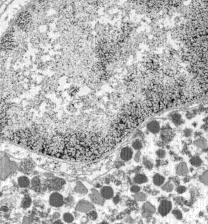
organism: C57BL Mouse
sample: Pancreatic islet